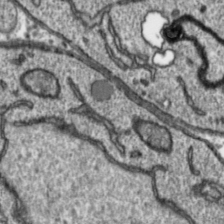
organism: Toxoplasma gondii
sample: Parasites in a vacuole inside a host cell